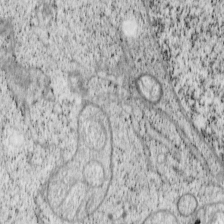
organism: African green monkey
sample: COS-7 cells